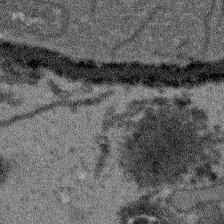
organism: Arabidopsis thaliana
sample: Root tip